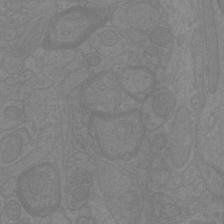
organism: Mouse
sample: Cortical neurons